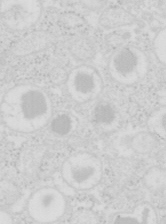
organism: Mouse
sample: Pancreas